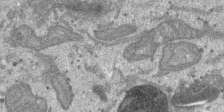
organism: Human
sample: Lung epithelial cells infected with SARS-CoV-2